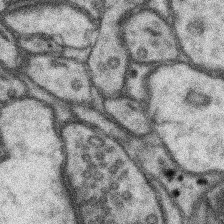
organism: Mouse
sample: Somatosensory cortex neuropil